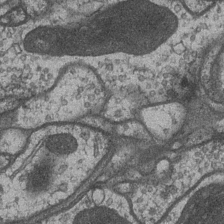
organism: Drosophila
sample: Optic medulla